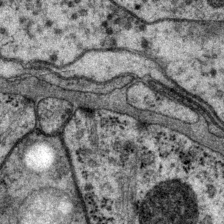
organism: P. pacificus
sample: Pharynx